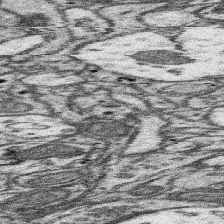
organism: Mouse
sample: Somatosensory cortex neuropil